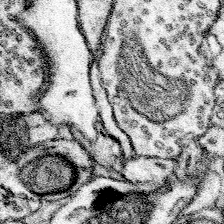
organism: Mouse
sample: Somatosensory cortex neuropil